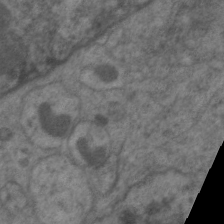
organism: C. elegans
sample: Pharynx